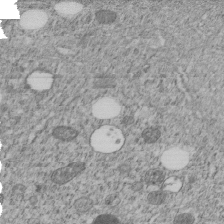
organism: C. elegans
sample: C. elegans embryo early stage